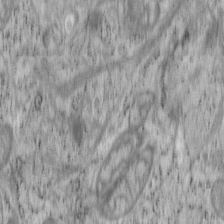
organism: Human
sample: HeLa cells